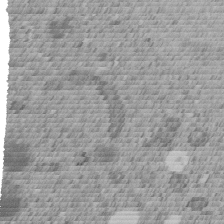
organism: C. elegans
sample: C. elegans embryo early stage